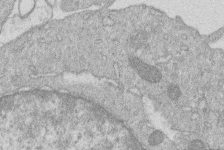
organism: Human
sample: Macrophage cells